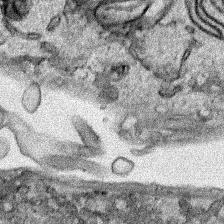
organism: Human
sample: Mitochondria in HCT116 cells